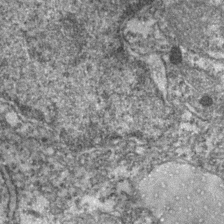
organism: Zebrafish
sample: Zebrafish embryo